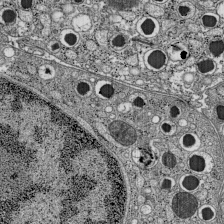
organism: C57BL Mouse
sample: Pancreatic islet